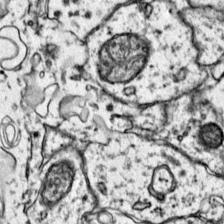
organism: Mouse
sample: Primary visual cortex